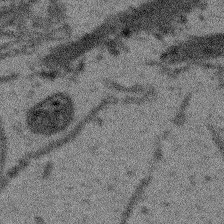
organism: Arabidopsis thaliana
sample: Root tip